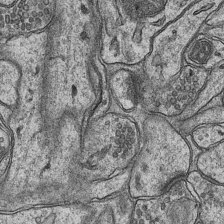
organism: Mouse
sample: CA1 Hippocampus